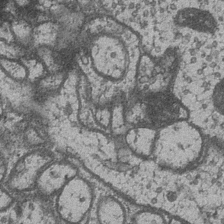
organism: Drosophila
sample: Optic medulla